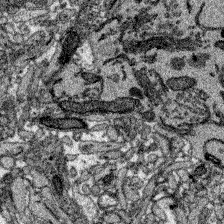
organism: Zebrafish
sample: Larval olfactory bulb